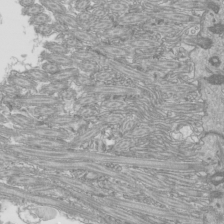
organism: Mouse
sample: Cilia; mouse epididymis